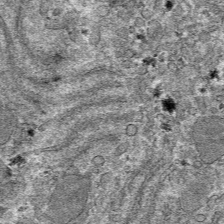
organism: Mouse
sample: Mouse hepatocytes